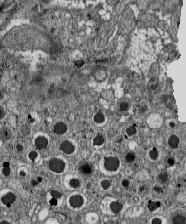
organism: C57BL Mouse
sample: Pancreatic islet